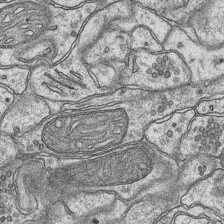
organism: Mouse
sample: CA1 Hippocampus